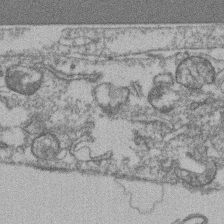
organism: Mouse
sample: T cell stromal cell synapse